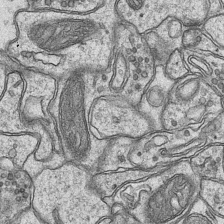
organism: Mouse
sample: CA1 Hippocampus